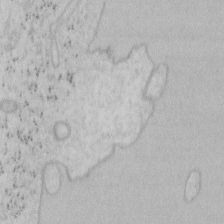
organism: Human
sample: HeLa cells